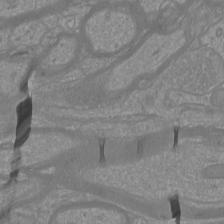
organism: Mouse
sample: Cortical neurons